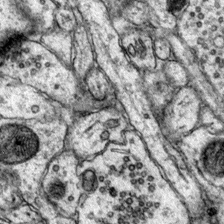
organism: Mouse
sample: Primary visual cortex